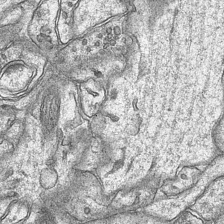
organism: Mouse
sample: CA1 Hippocampus